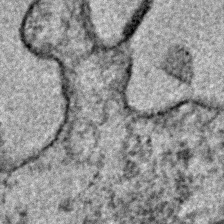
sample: Trachea